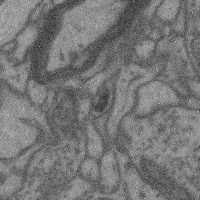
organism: Mouse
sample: Cerebral cortex